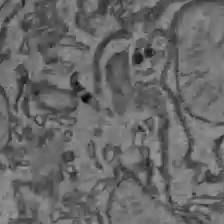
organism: C57BL Mouse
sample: Liver